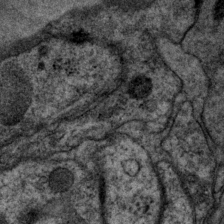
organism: P. pacificus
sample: Pharynx